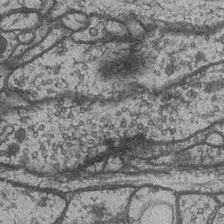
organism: Drosophila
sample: Optic medulla